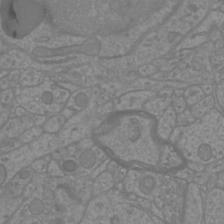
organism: Mouse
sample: Cortical neurons